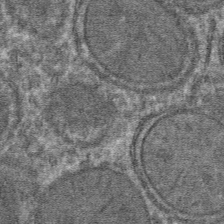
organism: Mouse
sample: Mouse hepatocytes